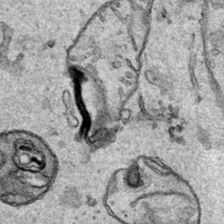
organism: Human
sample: Mitochondria in HCT116 cells